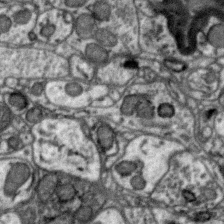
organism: Zebra finch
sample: Brain